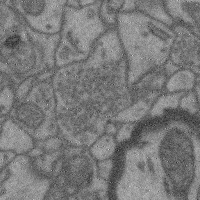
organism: Mouse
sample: Cerebral cortex